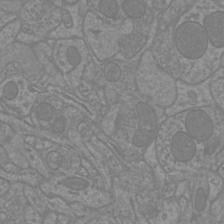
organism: Mouse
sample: Cortical neurons